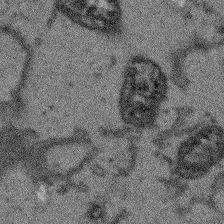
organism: Arabidopsis thaliana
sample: Root tip